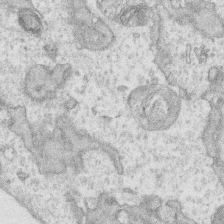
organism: Human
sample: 1205lu cells